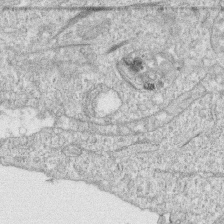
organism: Human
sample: HeLa cell HIV synapse